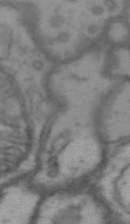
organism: Drosophila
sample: Brain